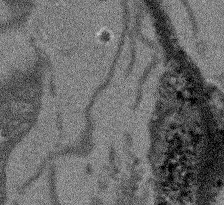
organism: Arabidopsis thaliana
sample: Root tip